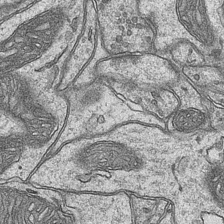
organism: Mouse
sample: CA1 Hippocampus